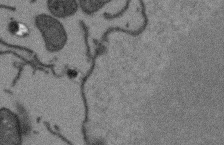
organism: Arabidopsis thaliana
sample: Root tip